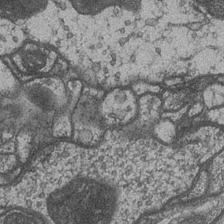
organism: Drosophila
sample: Optic medulla